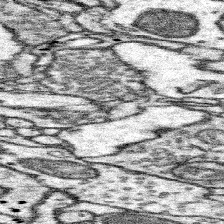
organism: Mouse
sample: Somatosensory cortex neuropil